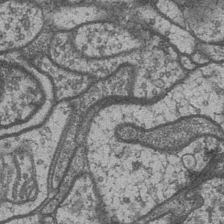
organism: Drosophila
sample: Optic medulla